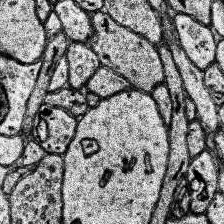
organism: Human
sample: Temporal Lobe